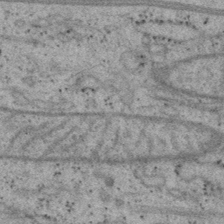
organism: Human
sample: HeLa cells